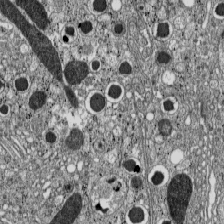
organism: C57BL Mouse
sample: Pancreatic islet